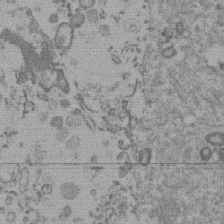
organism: Mouse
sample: Dividing mouse embryo 1 cell stage